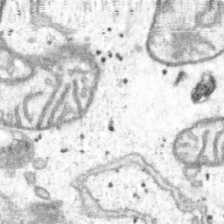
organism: Human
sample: HeLa cells